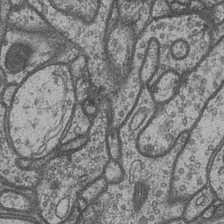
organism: Drosophila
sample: Optic medulla